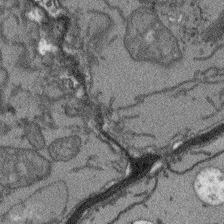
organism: Arabidopsis thaliana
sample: Root tip